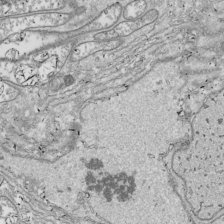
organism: Drosophila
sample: Cell division; meiosis; drosophila spermatocytes